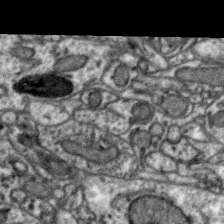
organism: Zebra finch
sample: Brain